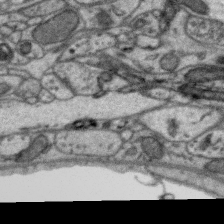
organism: Zebra finch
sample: Brain